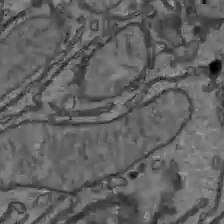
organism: C57BL Mouse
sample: Liver